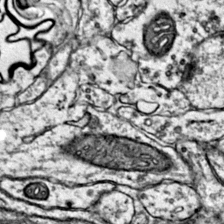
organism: Mouse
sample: Primary visual cortex